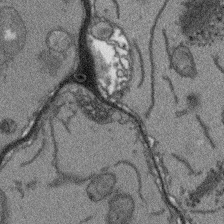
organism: Arabidopsis thaliana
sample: Root tip